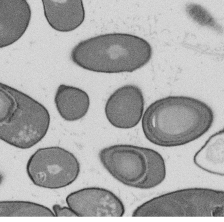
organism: B. subtilis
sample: Bacterial spore